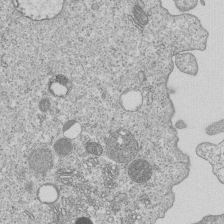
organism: Human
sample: MDA-MB-231 cells